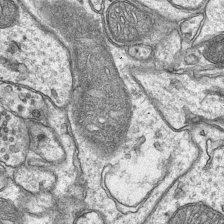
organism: Mouse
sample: CA1 Hippocampus